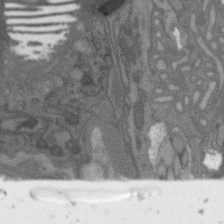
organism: C. elegans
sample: AFD neurons C. elegans